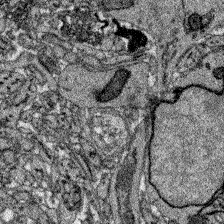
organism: Zebrafish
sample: Larval olfactory bulb